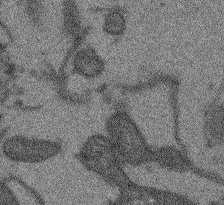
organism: Arabidopsis thaliana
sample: Root tip